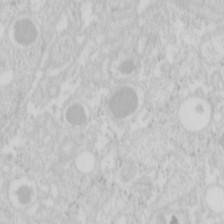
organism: Mouse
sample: Pancreas